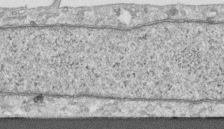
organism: Human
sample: Centriole in RPE cells